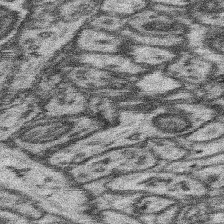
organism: Mouse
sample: Somatosensory cortex neuropil